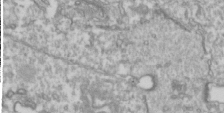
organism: Drosophila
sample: Cell division; meiosis; drosophila spermatocytes